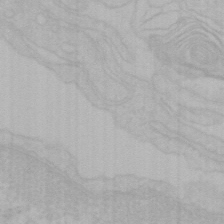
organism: Mouse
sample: Choroid plexus